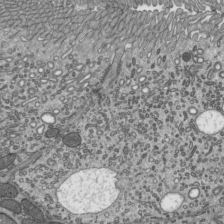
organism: Mouse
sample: Mouse epididymis efferent ductule cilia